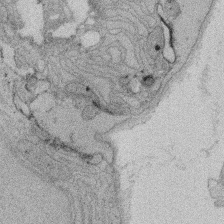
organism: Rat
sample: Salivary granule